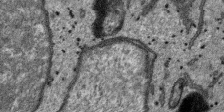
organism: Human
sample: Lung epithelial cells, uninfected (mock) control